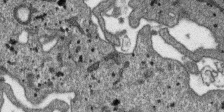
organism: Human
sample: Lung epithelial cells infected with SARS-CoV-2